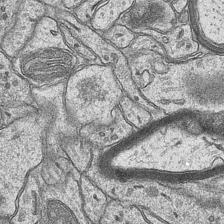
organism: Mouse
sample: CA1 Hippocampus